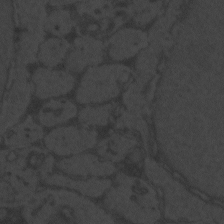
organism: Zebrafish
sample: Macrophage infected with Toxoplasma gondii